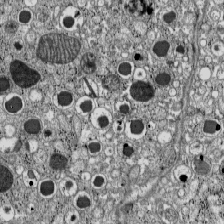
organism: C57BL Mouse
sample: Pancreatic islet